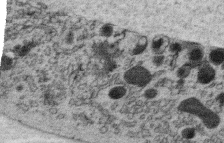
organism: C. elegans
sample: C. elegans oocyte; sperm cells